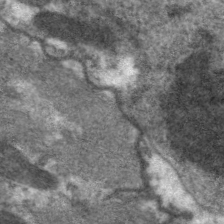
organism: C. elegans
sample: Pharynx